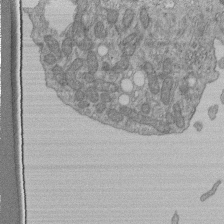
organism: Human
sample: Retinal organoid Rod and Cone cells